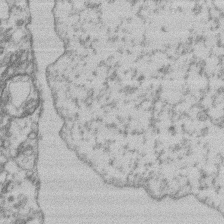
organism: Mouse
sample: T cell stromal cell synapse